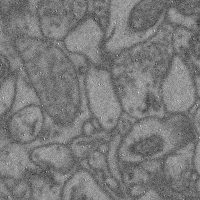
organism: Mouse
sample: Cerebral cortex